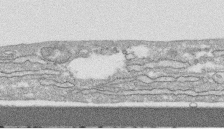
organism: Human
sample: CRL-1474